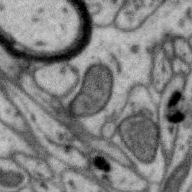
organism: Zebra finch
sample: Brain